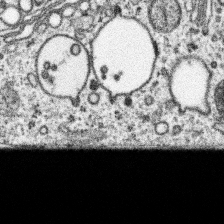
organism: Human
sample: HeLa cells